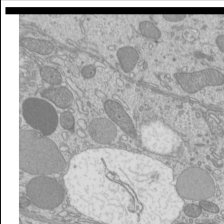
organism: Mouse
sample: Cilia; mouse epididymis